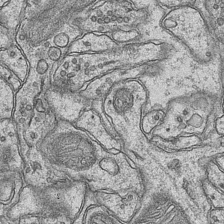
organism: Mouse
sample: CA1 Hippocampus